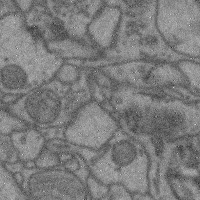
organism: Mouse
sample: Cerebral cortex